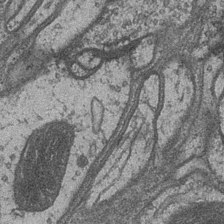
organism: Drosophila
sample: Optic medulla